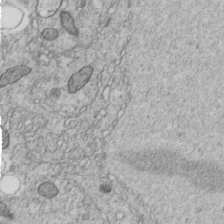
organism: C. elegans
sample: C. elegans embryo early stage